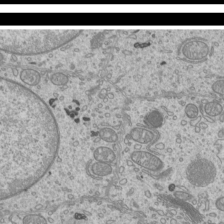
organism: Mouse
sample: Cilia; mouse epididymis